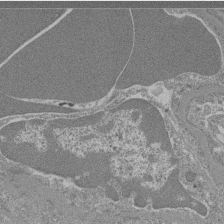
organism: Mouse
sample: Glomerulus